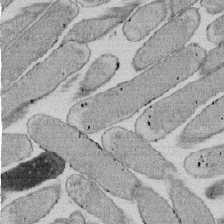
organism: E. coli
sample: Bacterial nucleoid